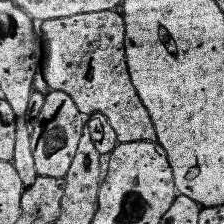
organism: Human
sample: Temporal Lobe